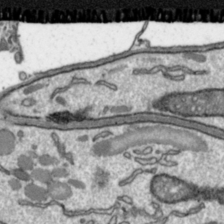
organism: Toxoplasma gondii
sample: Parasites in a vacuole inside a host cell